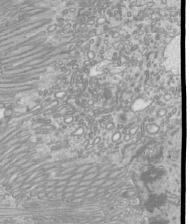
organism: Mouse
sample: Cilia; mouse epididymis